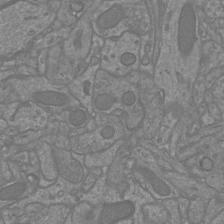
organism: Mouse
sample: Cortical neurons